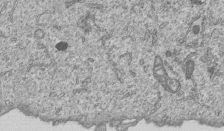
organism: Human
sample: MDA-MB-231 cells